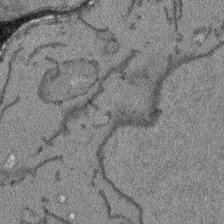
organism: Arabidopsis thaliana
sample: Root tip